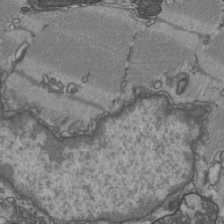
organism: C57BL Mouse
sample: Heart